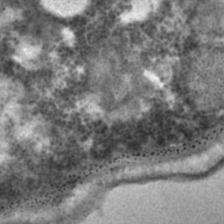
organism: C. elegans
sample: C. elegans embryo